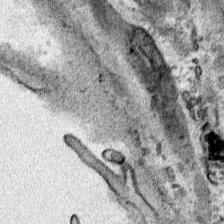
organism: Human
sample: Mitochondria in HCT116 cells